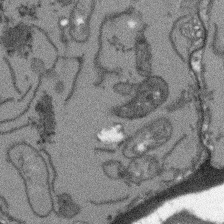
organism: Arabidopsis thaliana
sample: Root tip